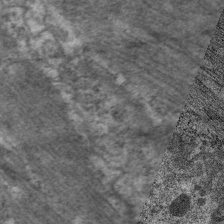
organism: C. elegans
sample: Pharynx